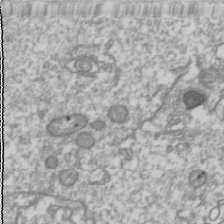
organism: Drosophila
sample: Cell division; meiosis; drosophila spermatocytes